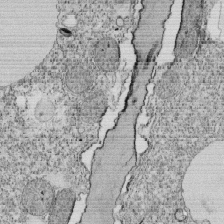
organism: Tetrahymena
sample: Cilia in tetrahymena